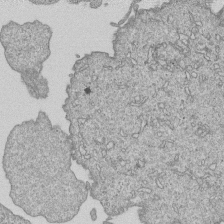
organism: Human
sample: MDA-MB-231 cells